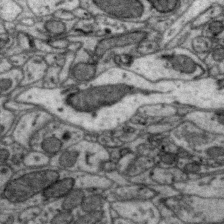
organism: Zebra finch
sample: Brain